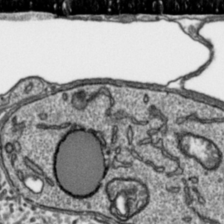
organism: Toxoplasma gondii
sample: Parasites in a vacuole inside a host cell